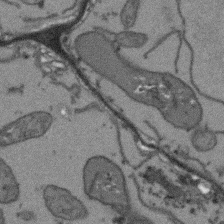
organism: Arabidopsis thaliana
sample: Root tip